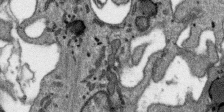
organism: Human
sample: Lung epithelial cells, uninfected (mock) control